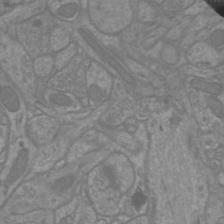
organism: Mouse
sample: Cortical neurons